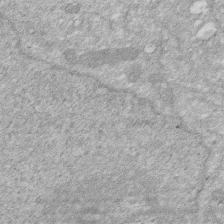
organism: Human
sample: HIV infected U937 cells